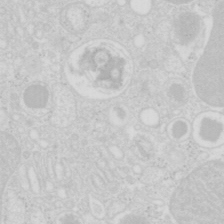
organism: Mouse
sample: Pancreas